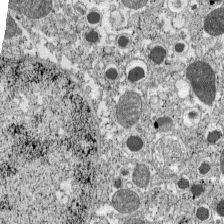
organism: C57BL Mouse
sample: Pancreatic islet